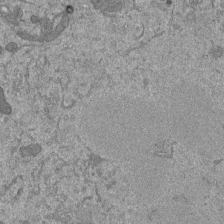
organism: Mouse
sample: ED-1 cell nuclei; centrioles